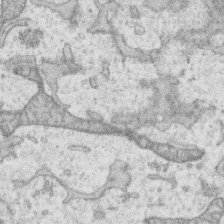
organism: Human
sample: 1205lu cells